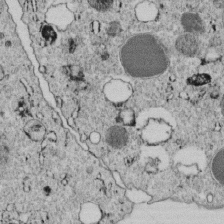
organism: C. elegans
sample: C. elegans embryo early stage